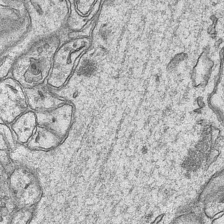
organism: Mouse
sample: CA1 Hippocampus